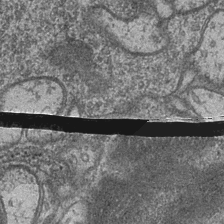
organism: Drosophila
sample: Optic medulla